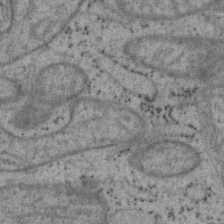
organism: Human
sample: HeLa cells